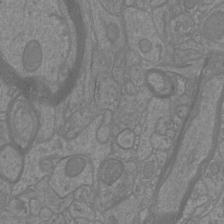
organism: Mouse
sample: Cortical neurons